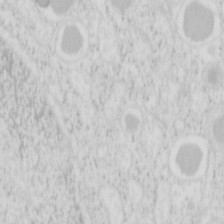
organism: Mouse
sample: Pancreas